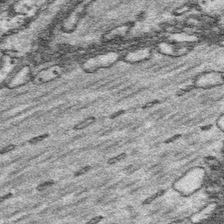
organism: Platynereis dumerilii